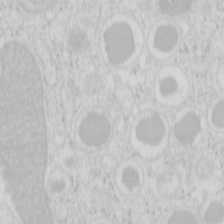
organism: Mouse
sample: Pancreas